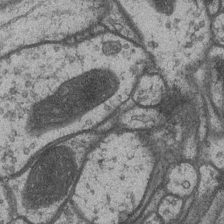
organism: Drosophila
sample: Optic medulla